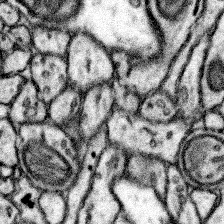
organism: Mouse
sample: Somatosensory cortex neuropil